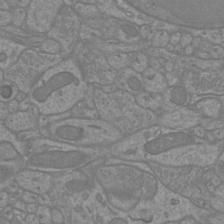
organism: Mouse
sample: Cortical neurons